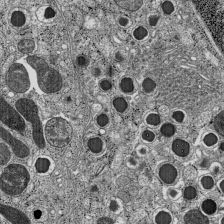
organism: C57BL Mouse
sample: Pancreatic islet